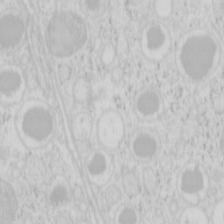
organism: Mouse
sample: Pancreas